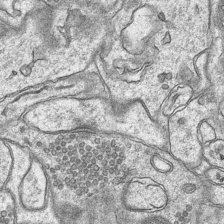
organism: Mouse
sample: CA1 Hippocampus